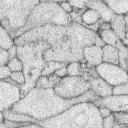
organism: Rabbit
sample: Retina